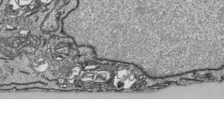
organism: Human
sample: Mitochondria in HCT116 cells